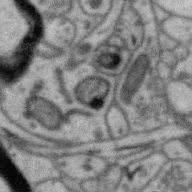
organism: Zebra finch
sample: Brain